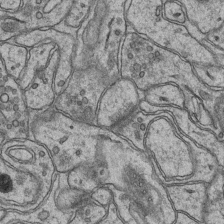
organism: Mouse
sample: CA1 Hippocampus